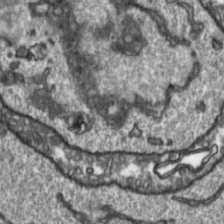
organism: Toxoplasma gondii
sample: Parasites in a vacuole inside a host cell